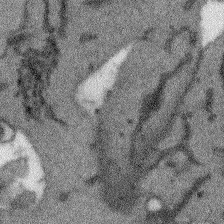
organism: Arabidopsis thaliana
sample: Root tip